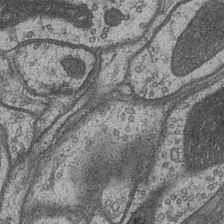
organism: Drosophila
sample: Optic medulla